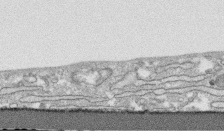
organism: Human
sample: CRL-1474